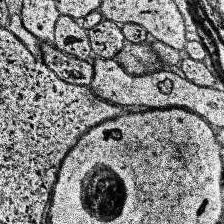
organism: Human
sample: Temporal Lobe